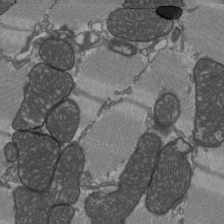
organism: C57BL Mouse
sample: Heart